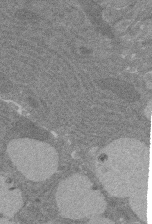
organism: Rat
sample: Salivary granule